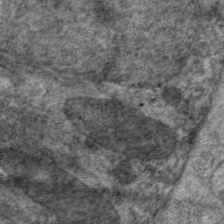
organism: C. elegans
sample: Pharynx